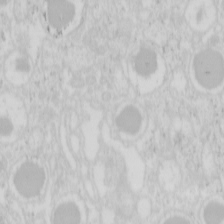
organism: Mouse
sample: Pancreas